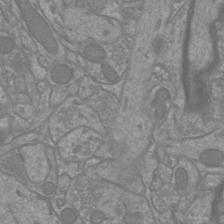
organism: Mouse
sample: Cortical neurons